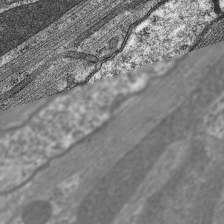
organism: C. elegans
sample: Pharynx